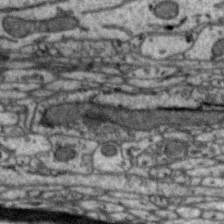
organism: Zebra finch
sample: Brain